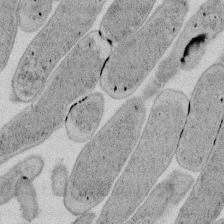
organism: E. coli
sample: Bacterial nucleoid